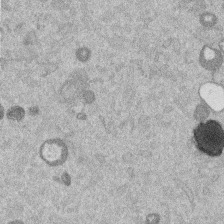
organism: Mouse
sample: Dividing mouse embryo 1 cell stage